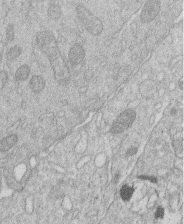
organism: Human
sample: Macrophage cells